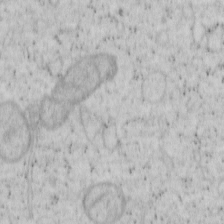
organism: Human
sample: HeLa cells